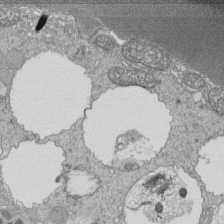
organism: Tetrahymena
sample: Cilia in tetrahymena